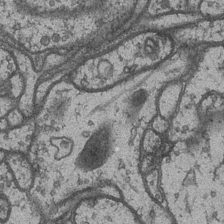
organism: Drosophila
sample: Optic medulla